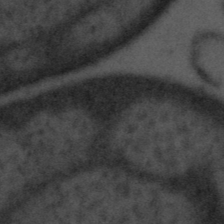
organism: Tuwongella immobilis